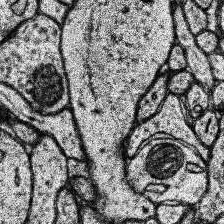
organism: Human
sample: Temporal Lobe